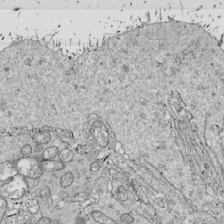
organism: Drosophila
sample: Cell division; meiosis; drosophila spermatocytes